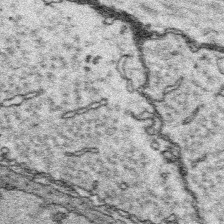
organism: Platynereis dumerilii